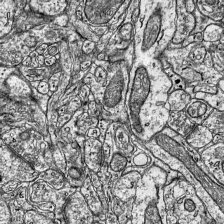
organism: Mouse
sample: Visual Cortex